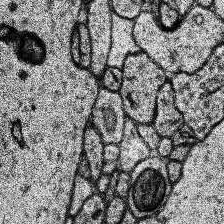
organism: Human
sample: Temporal Lobe